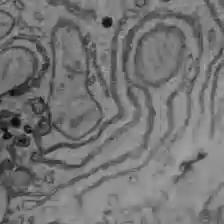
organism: C57BL Mouse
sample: Liver